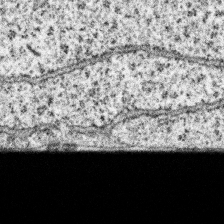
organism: Human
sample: HeLa cells